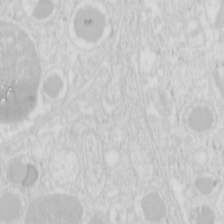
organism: Mouse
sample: Pancreas